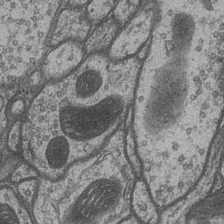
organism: Drosophila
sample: Optic medulla